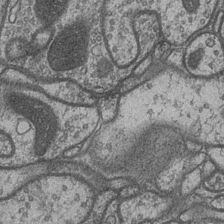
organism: Drosophila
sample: Optic medulla